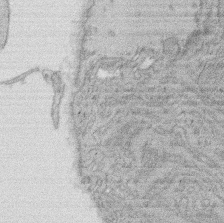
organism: Rat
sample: Salivary granule